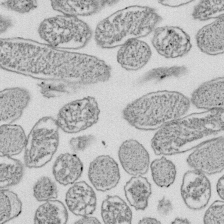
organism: E. coli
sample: Bacterial nucleoid